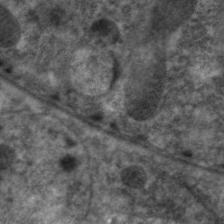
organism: C. elegans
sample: Pharynx